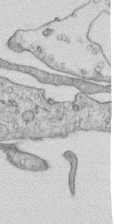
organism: Human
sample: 1205lu cells